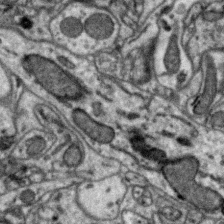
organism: Zebra finch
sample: Brain